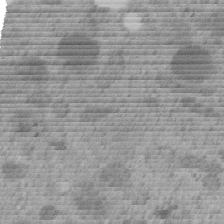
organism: C. elegans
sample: C. elegans embryo early stage